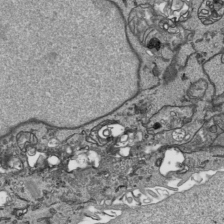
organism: Human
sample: Mitochondria in HCT116 cells